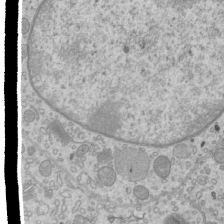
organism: Mouse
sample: Cilia; mouse epididymis